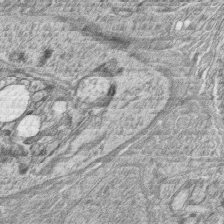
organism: Zebrafish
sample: synaptic ribbons in rod cells and cone cells